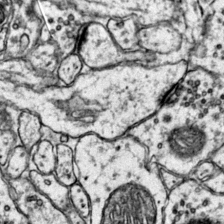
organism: Mouse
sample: Primary visual cortex